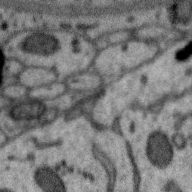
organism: Zebra finch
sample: Brain